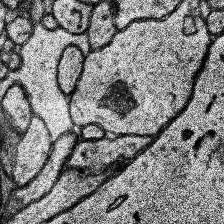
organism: Human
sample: Temporal Lobe